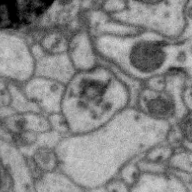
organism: Zebra finch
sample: Brain